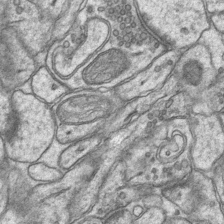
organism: Mouse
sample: CA1 Hippocampus